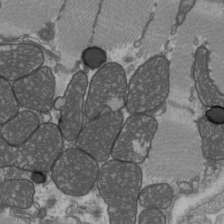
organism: C57BL Mouse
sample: Heart